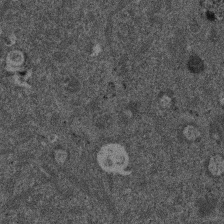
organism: Mouse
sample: Dividing mouse embryo 1 cell stage